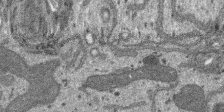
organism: Human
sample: Lung epithelial cells infected with SARS-CoV-2